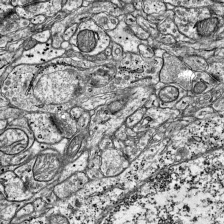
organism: Mouse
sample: Visual Cortex